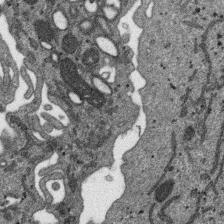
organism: Human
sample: Lung epithelial cells infected with SARS-CoV-2